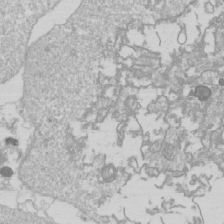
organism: Drosophila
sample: Cell division; meiosis; drosophila spermatocytes